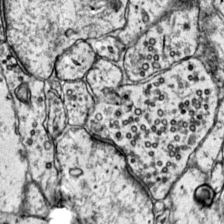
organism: Mouse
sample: Primary visual cortex